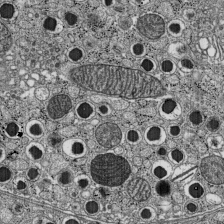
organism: C57BL Mouse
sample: Pancreatic islet